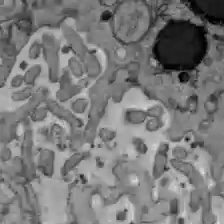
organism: C57BL Mouse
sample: Liver